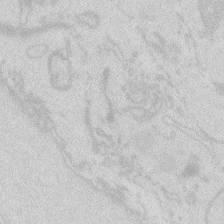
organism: Zebrafish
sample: Macrophage